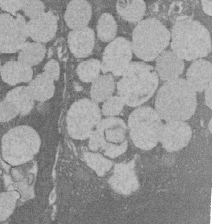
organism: Rat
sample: Salivary granule